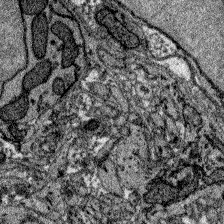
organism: Zebrafish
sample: Larval olfactory bulb